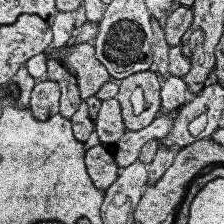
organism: Human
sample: Temporal Lobe